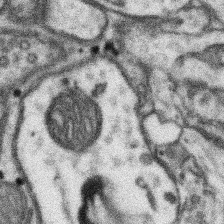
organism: Mouse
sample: Somatosensory cortex neuropil